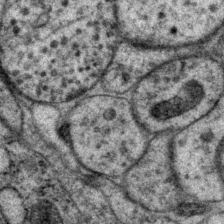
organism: P. pacificus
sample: Pharynx